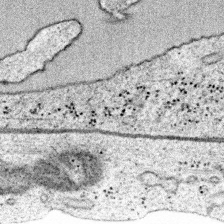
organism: Human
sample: HeLa cells